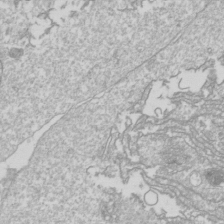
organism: Drosophila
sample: Cell division; meiosis; drosophila spermatocytes